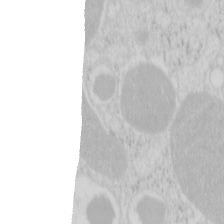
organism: Mouse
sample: Pancreas